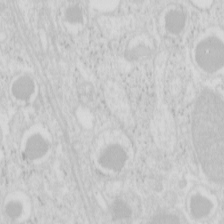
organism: Mouse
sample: Pancreas